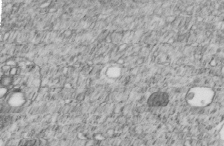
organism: C. elegans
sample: C. elegans embryo early stage